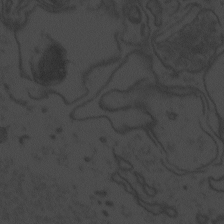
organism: Zebrafish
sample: Macrophage infected with Toxoplasma gondii